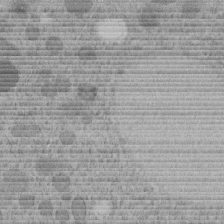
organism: C. elegans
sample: C. elegans embryo early stage